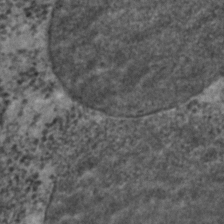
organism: C. elegans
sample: C. elegans embryo